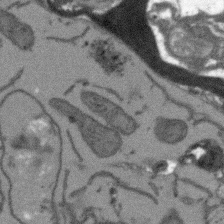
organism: Arabidopsis thaliana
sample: Root tip